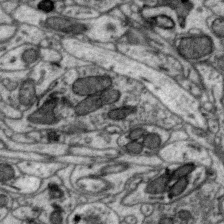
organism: Zebra finch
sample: Brain